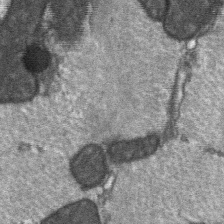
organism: C57BL Mouse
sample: Soleus